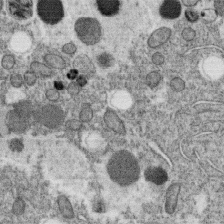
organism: C. elegans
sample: C. elegans oocyte; sperm cells